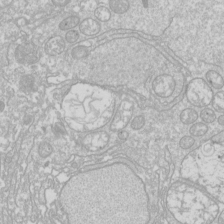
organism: Drosophila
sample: Cell division; meiosis; drosophila spermatocytes